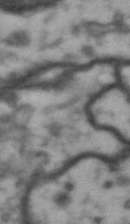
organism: Drosophila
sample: Brain